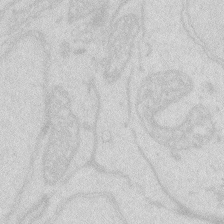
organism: Zebrafish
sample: Macrophage